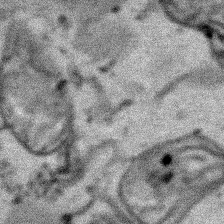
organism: Human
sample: Mitochondria in HCT116 cells